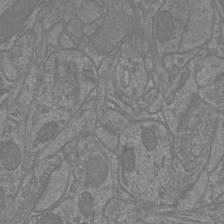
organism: Mouse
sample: Cortical neurons